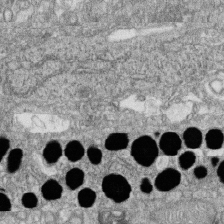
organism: Zebrafish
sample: Cilia; retinal pigment epithelium